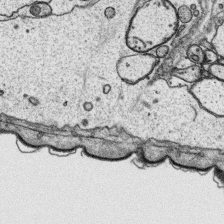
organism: Platynereis dumerilii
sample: Parapodia